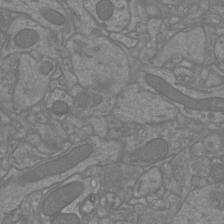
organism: Mouse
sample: Cortical neurons